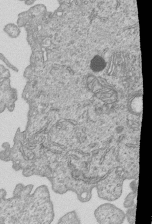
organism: Human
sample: MDA-MB-231 cells